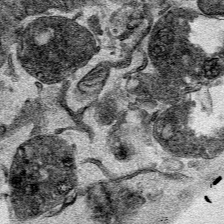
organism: Mouse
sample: Cancer cell death in ED-1 cells